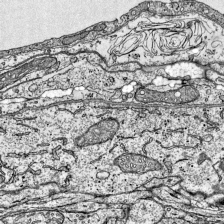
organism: Mouse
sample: Visual Cortex